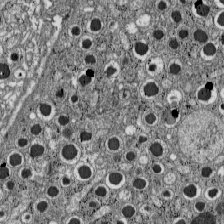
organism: C57BL Mouse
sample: Pancreatic islet